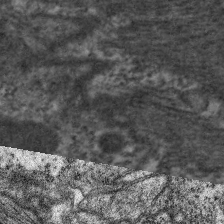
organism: C. elegans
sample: Pharynx